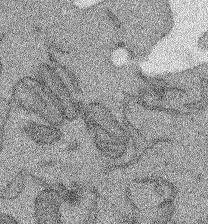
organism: Human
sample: HeLa cells